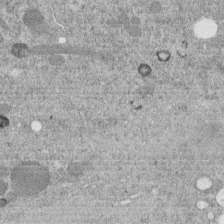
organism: C. elegans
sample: C. elegans embryo early stage